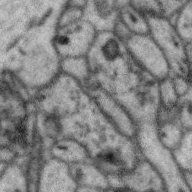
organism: Zebra finch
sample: Brain